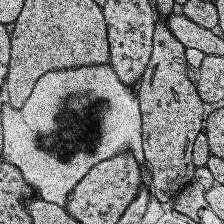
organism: Human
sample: Temporal Lobe